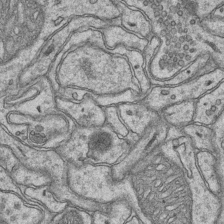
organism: Mouse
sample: CA1 Hippocampus